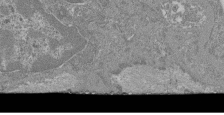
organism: Mouse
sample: Glomerulus